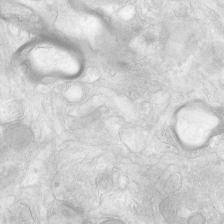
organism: Human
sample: Neocortex